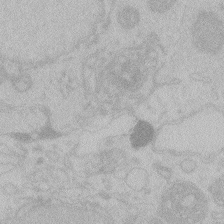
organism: Zebrafish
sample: Macrophage infected with Toxoplasma gondii